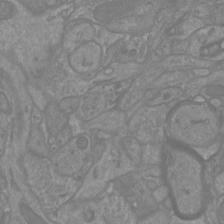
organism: Mouse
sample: Cortical neurons